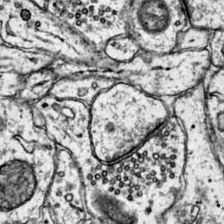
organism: Mouse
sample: Primary visual cortex